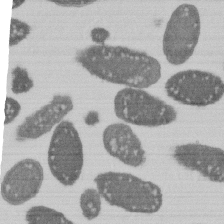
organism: E. coli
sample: Bacterial nucleoid